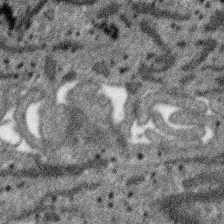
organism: Human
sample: Lung epithelial cells infected with SARS-CoV-2